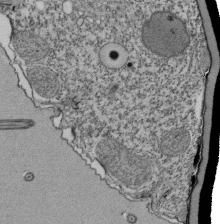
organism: Tetrahymena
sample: Cilia in tetrahymena